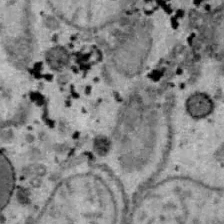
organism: Mouse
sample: Liver from an obese (ob/ob) mouse